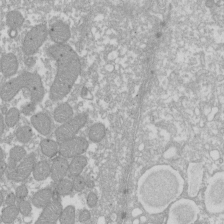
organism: Xenopus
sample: Cilia; centrioles in frog embryo cells